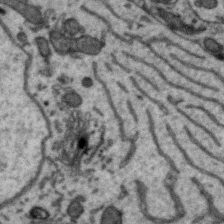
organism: Zebra finch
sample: Brain